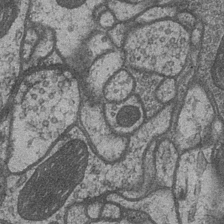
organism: Drosophila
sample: Optic medulla